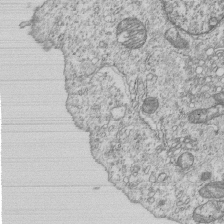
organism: Human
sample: MDA-MB-231 cells